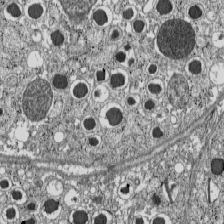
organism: C57BL Mouse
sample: Pancreatic islet